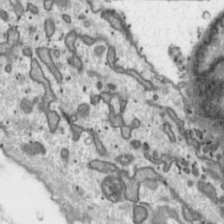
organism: Toxoplasma gondii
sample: Parasites in a vacuole inside a host cell